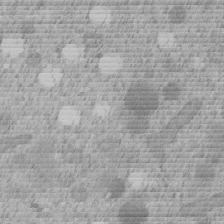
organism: C. elegans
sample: C. elegans embryo early stage